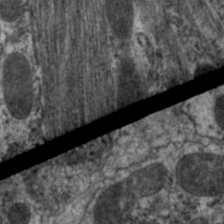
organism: C. elegans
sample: Pharynx